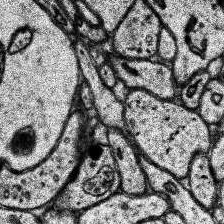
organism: Human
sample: Temporal Lobe